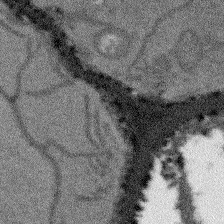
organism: Arabidopsis thaliana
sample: Root tip